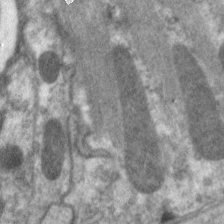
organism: C. elegans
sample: Pharynx